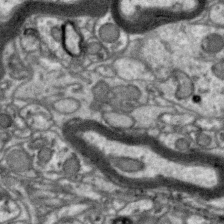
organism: Zebra finch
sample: Brain